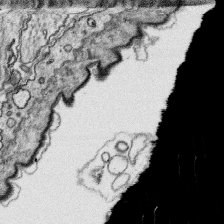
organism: Platynereis dumerilii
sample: Parapodia